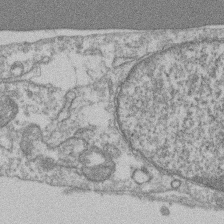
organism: Mouse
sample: T cell stromal cell synapse